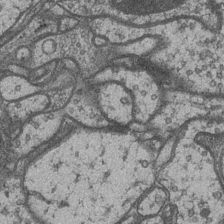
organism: Drosophila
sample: Optic medulla